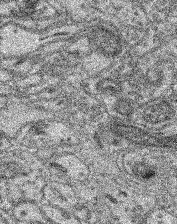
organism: Mouse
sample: Retina